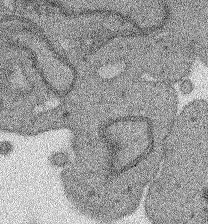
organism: Human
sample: HeLa cells